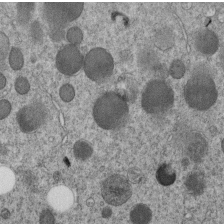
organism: C. elegans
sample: C. elegans embryo early stage